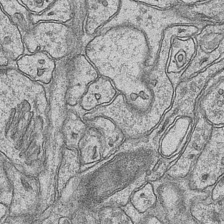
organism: Mouse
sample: CA1 Hippocampus